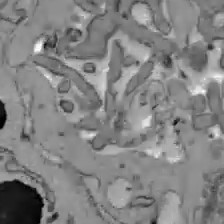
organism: C57BL Mouse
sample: Liver